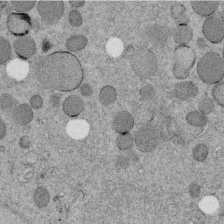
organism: C. elegans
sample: C. elegans embryo early stage